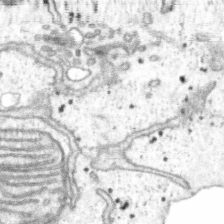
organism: Human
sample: HeLa cells